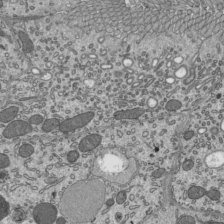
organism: Mouse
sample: Mouse epididymis efferent ductule cilia